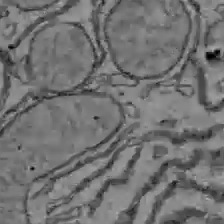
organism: C57BL Mouse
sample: Liver